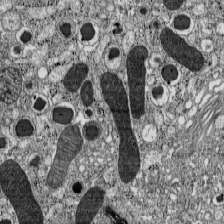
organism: C57BL Mouse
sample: Pancreatic islet